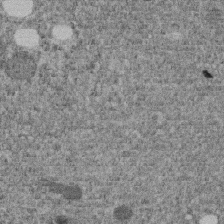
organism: C. elegans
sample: C. elegans embryo early stage